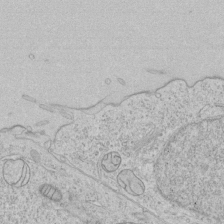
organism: Human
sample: Mitochondria in HCT116 cells